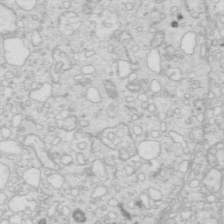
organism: Mouse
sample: Multiciliated cells